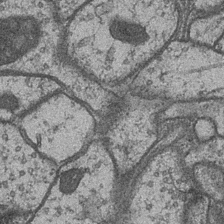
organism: Drosophila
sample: Optic medulla